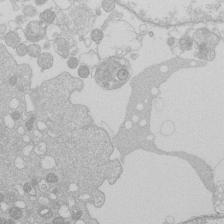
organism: Human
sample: Macrophage cells